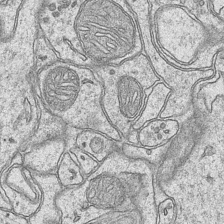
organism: Mouse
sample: CA1 Hippocampus